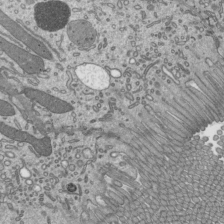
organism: Mouse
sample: Mouse epididymis efferent ductule cilia